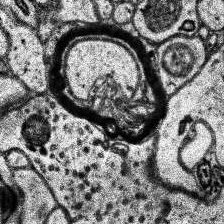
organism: Human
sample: Temporal Lobe